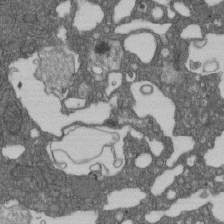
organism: Drosophila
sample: Nephrocyte